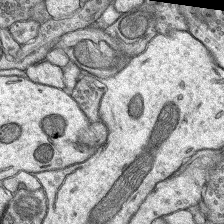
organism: Rat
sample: Hippocampus